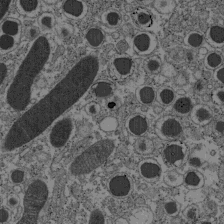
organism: C57BL Mouse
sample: Pancreatic islet